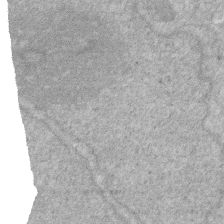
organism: Human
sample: HIV infected U937 cells